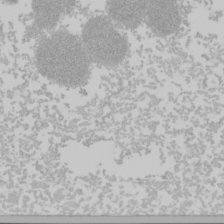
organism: Mouse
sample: Cancer cell death in ED-1 cells